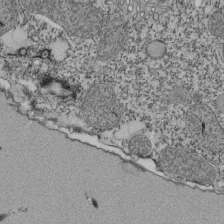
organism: Tetrahymena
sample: Cilia in tetrahymena